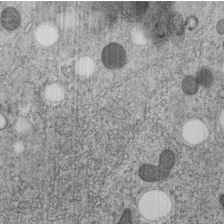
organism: C. elegans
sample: C. elegans embryo early stage